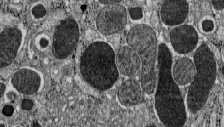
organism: C57BL Mouse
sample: Pancreatic islet